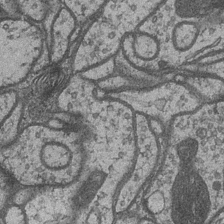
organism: Drosophila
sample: Optic medulla